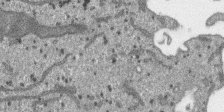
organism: Human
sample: Lung epithelial cells infected with SARS-CoV-2